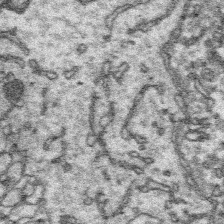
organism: Platynereis dumerilii